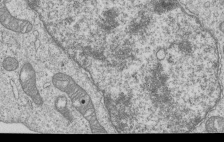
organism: Human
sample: MDA-MB-231 cells